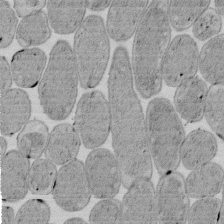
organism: E. coli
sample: Bacterial nucleoid